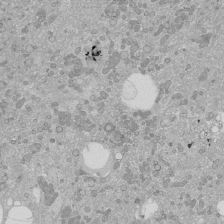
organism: Human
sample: Caco-2 cells